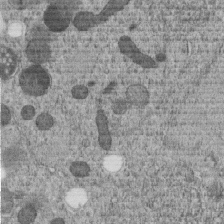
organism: C. elegans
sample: C. elegans embryo early stage